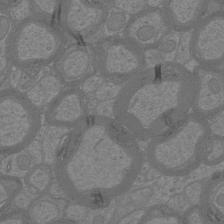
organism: Mouse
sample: Cortical neurons